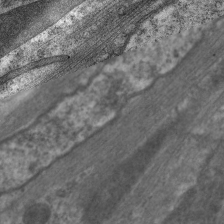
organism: C. elegans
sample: Pharynx